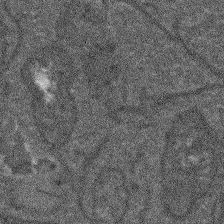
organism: Arabidopsis thaliana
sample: Root tip